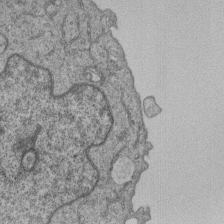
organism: Human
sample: MDA-MB-231 cells